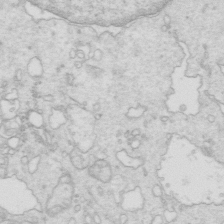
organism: Mouse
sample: Multiciliated cells